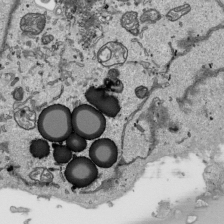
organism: Human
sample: Mitochondria in HCT116 cells